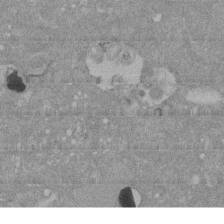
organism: Mouse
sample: ED-1 cell nuclei; centrioles